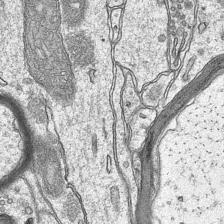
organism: Mouse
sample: CA1 Hippocampus